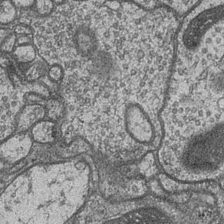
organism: Drosophila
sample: Optic medulla